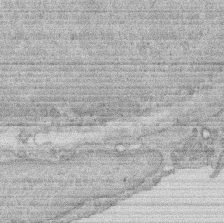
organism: Rat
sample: Salivary granule